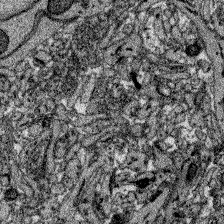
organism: Zebrafish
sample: Larval olfactory bulb